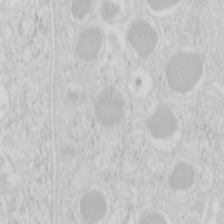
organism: Mouse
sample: Pancreas